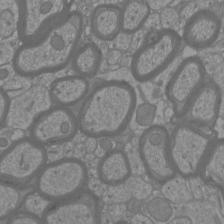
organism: Mouse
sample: Cortical neurons